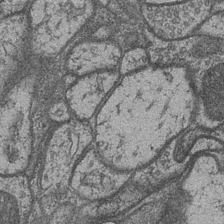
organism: Drosophila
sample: Optic medulla